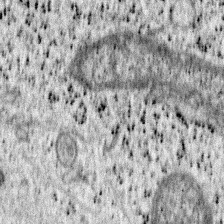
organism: Human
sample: HeLa cells